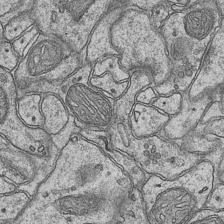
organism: Mouse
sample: CA1 Hippocampus